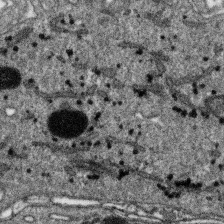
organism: Human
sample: Lung epithelial cells infected with SARS-CoV-2